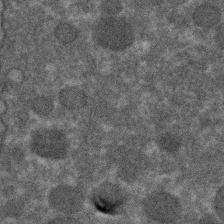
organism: C. elegans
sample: C. elegans embryo